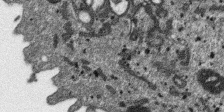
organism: Human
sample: Lung epithelial cells infected with SARS-CoV-2